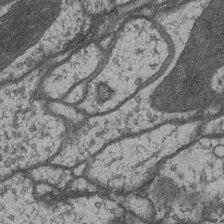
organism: Drosophila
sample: Optic medulla